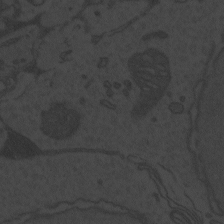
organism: Zebrafish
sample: Macrophage infected with Toxoplasma gondii